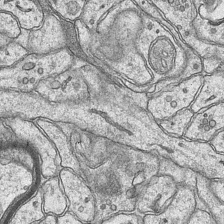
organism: Mouse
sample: CA1 Hippocampus